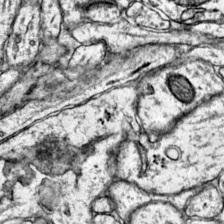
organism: Mouse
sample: Primary visual cortex